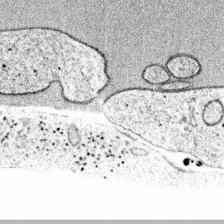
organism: Human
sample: HeLa cells